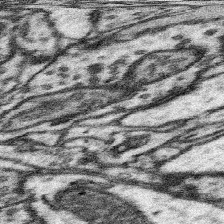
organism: Mouse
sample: Somatosensory cortex neuropil